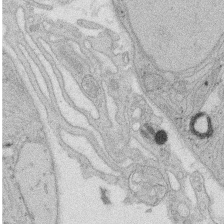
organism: Rat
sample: Salivary granule